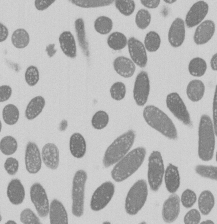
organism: E. coli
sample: Bacterial nucleoid